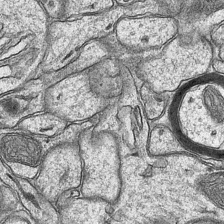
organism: Mouse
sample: CA1 Hippocampus